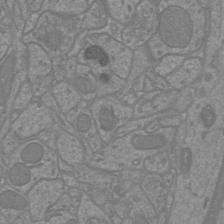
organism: Mouse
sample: Cortical neurons